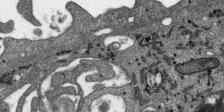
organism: Human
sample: Lung epithelial cells, uninfected (mock) control